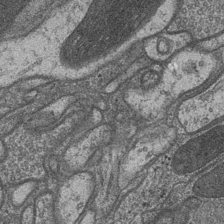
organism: Drosophila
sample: Optic medulla